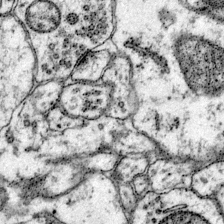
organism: Mouse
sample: Primary visual cortex